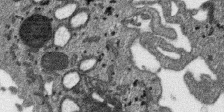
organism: Human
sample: Lung epithelial cells infected with SARS-CoV-2